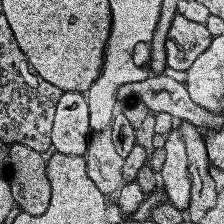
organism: Human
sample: Temporal Lobe